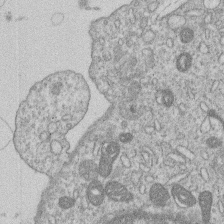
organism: Human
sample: Macrophage cells